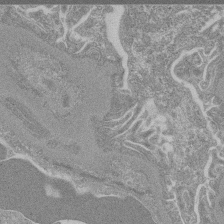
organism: Mouse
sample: Glomerulus